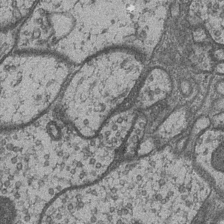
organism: Drosophila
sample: Optic medulla